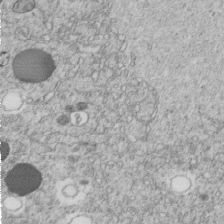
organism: C. elegans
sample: C. elegans embryo early stage